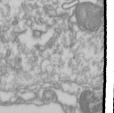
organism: Drosophila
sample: Cell division; meiosis; drosophila spermatocytes